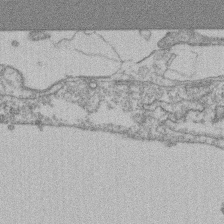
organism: Mouse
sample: T cell stromal cell synapse